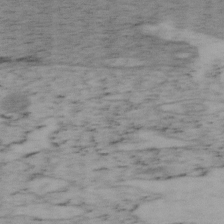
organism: Mouse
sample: OT-I killer T cells with ID8 ovarian cancer cells